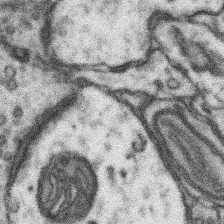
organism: Mouse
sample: Somatosensory cortex neuropil